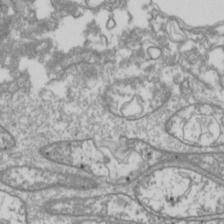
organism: Drosophila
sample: Cell division; meiosis; drosophila spermatocytes